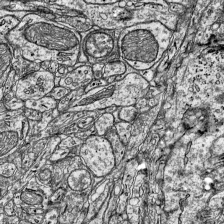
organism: Mouse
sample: Visual Cortex